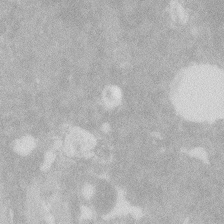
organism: Zebrafish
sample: Macrophage